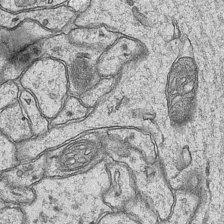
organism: Mouse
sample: CA1 Hippocampus